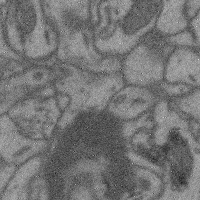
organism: Mouse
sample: Cerebral cortex